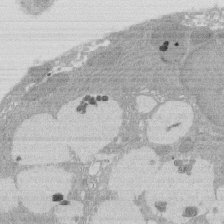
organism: Rat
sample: Salivary granule